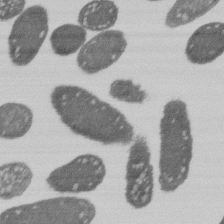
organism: E. coli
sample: Bacterial nucleoid